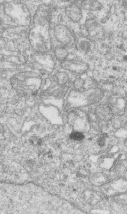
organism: Human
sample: HeLa cell HIV synapse